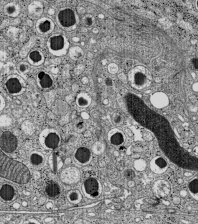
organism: C57BL Mouse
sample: Pancreatic islet